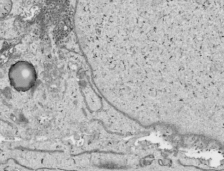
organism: Human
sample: Mitochondria in HCT116 cells